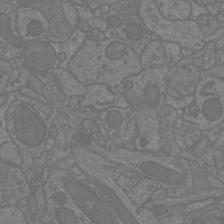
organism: Mouse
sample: Cortical neurons